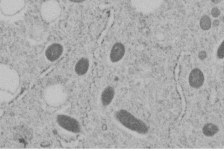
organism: C. elegans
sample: C. elegans embryo early stage